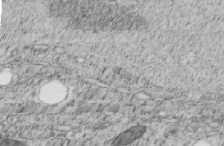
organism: C. elegans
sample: C. elegans embryo early stage